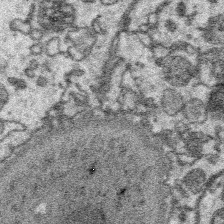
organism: Platynereis dumerilii